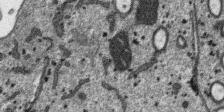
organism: Human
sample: Lung epithelial cells infected with SARS-CoV-2